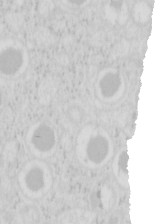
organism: Mouse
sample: Pancreas